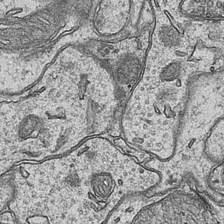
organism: Mouse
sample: CA1 Hippocampus